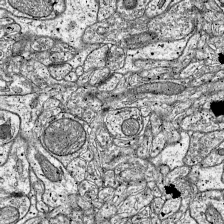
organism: Mouse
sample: Visual Cortex